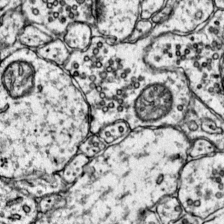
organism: Mouse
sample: Primary visual cortex